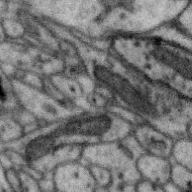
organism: Zebra finch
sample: Brain